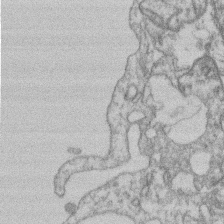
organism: Mouse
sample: T cell stromal cell synapse